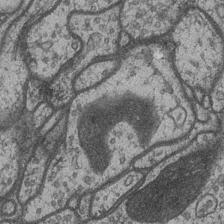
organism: Drosophila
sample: Optic medulla